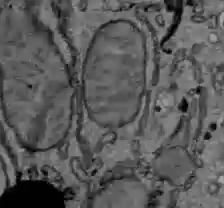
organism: C57BL Mouse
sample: Liver